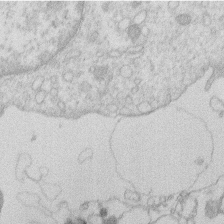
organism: Human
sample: Macrophage cells